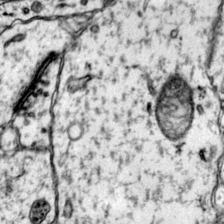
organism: Mouse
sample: Primary visual cortex